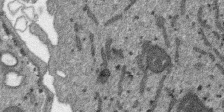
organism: Human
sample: Lung epithelial cells infected with SARS-CoV-2